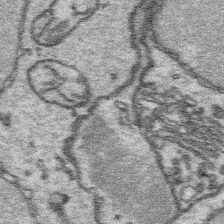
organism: Platynereis dumerilii